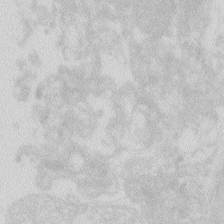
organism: Zebrafish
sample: Macrophage